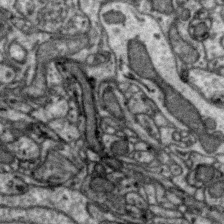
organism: Zebra finch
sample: Brain